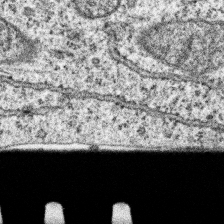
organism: Human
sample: HeLa cells